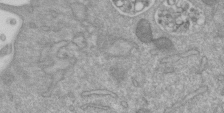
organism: Mouse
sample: ED-1 cell nuclei; centrioles